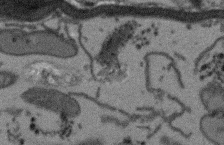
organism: Arabidopsis thaliana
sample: Root tip